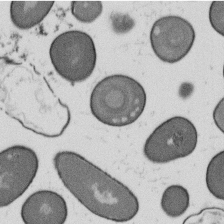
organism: B. subtilis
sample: Bacterial spore